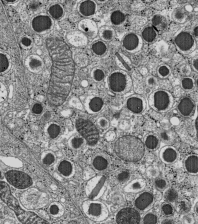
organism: C57BL Mouse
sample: Pancreatic islet